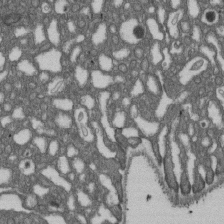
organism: Drosophila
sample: Nephrocyte